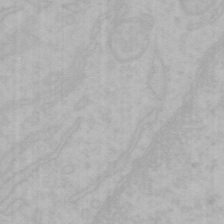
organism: Mouse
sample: Choroid plexus